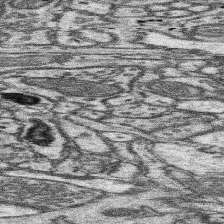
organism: Mouse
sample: Somatosensory cortex neuropil